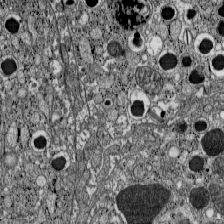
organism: C57BL Mouse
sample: Pancreatic islet